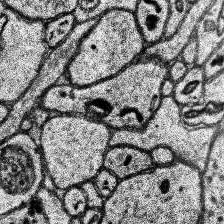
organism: Human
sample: Temporal Lobe